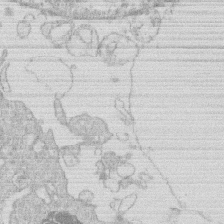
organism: Human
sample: Macrophage cells